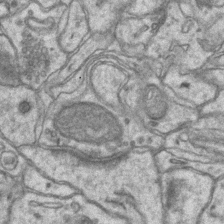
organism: Mouse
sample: CA1 Hippocampus